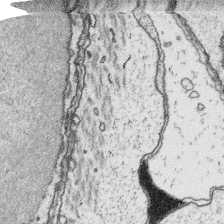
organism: Platynereis dumerilii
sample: Parapodia